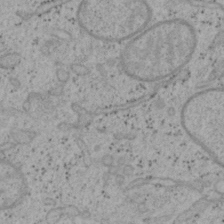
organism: Human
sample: HeLa cells